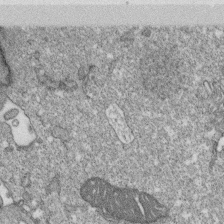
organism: African green monkey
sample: Vero E6 cells infected with SARS-CoV-2